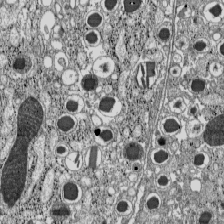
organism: C57BL Mouse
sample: Pancreatic islet